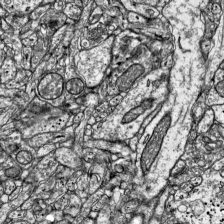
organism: Mouse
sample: Visual Cortex